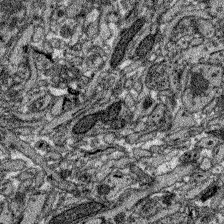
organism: Zebrafish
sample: Larval olfactory bulb